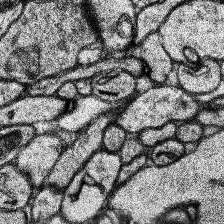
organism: Human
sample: Temporal Lobe